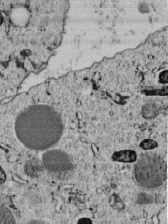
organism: C. elegans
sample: C. elegans embryo early stage